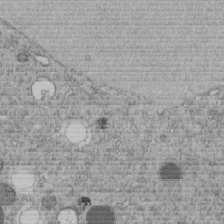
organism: C. elegans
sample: C. elegans embryo early stage